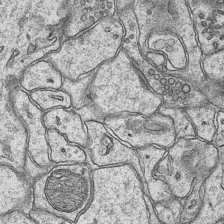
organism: Mouse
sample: CA1 Hippocampus